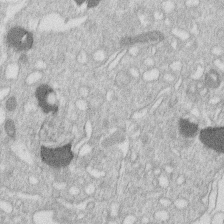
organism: Human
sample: Macrophage cells